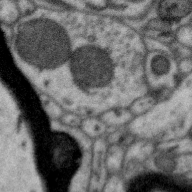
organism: Zebra finch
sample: Brain